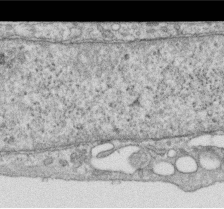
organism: Human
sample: Centriole in RPE cells